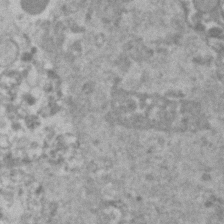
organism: Human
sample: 1205lu cells